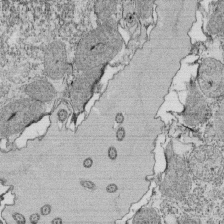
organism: Tetrahymena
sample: Cilia in tetrahymena